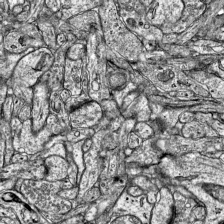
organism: Mouse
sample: Visual Cortex